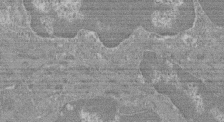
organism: Mouse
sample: Glomerulus